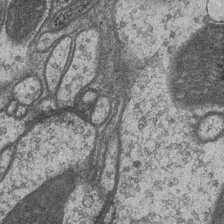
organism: Drosophila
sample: Optic medulla